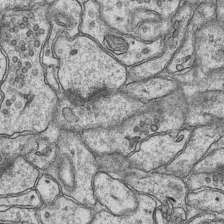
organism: Mouse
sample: CA1 Hippocampus